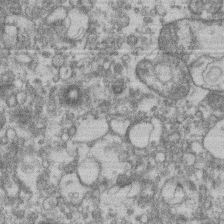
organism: Mouse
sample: T cell stromal cell synapse